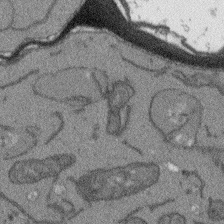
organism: Arabidopsis thaliana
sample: Root tip